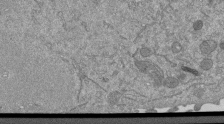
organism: Mouse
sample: ED-1 cell nuclei; centrioles